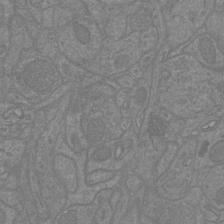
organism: Mouse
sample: Cortical neurons